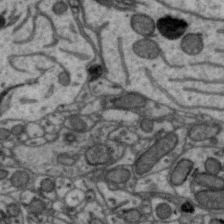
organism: Zebra finch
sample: Brain